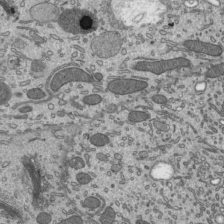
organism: Mouse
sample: Mouse epididymis efferent ductule cilia